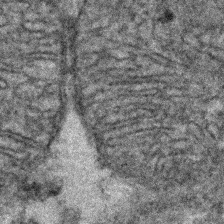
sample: Kidney